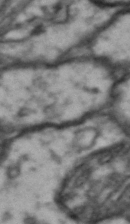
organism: Drosophila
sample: Brain